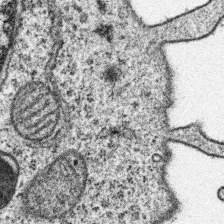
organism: Human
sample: HeLa cells